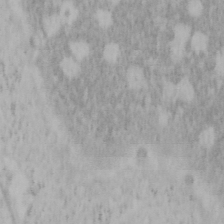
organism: Mouse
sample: OT-I killer T cells with ID8 ovarian cancer cells